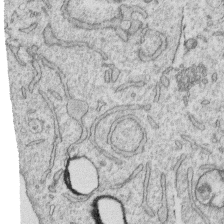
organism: Human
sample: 1205lu cells